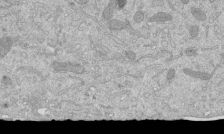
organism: Mouse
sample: ED-1 cell nuclei; centrioles